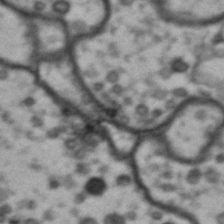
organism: Drosophila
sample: Brain